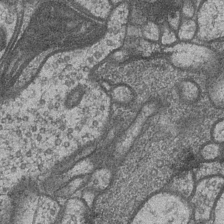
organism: Drosophila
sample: Optic medulla